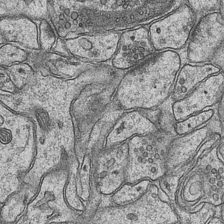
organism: Mouse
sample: CA1 Hippocampus